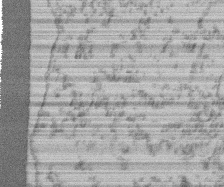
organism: Mouse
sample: T cell stromal cell synapse